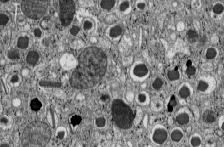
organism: C57BL Mouse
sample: Pancreatic islet